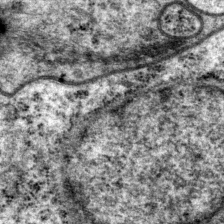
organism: P. pacificus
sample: Pharynx